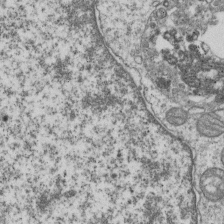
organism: Human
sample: MDA-MB-231 cells